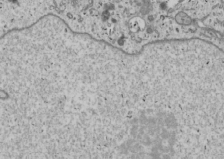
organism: Human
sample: Mitochondria in U2OS cells